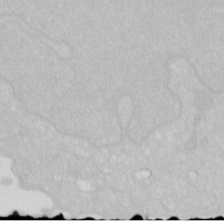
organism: Human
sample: HIV infected U937 cells